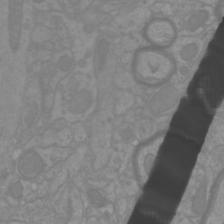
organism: Mouse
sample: Cortical neurons